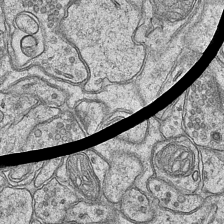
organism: Mouse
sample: CA1 Hippocampus